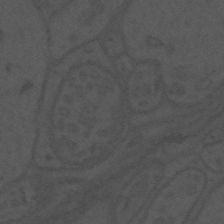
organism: Mouse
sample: Suprachiasmatic nucleus